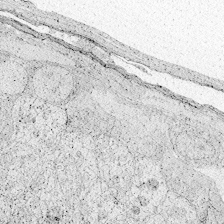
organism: Zebrafish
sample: Whole-Brain